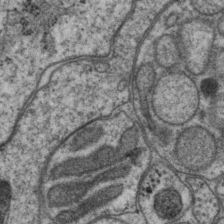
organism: P. pacificus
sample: Pharynx